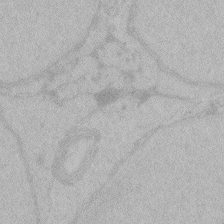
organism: Zebrafish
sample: Macrophage infected with Toxoplasma gondii